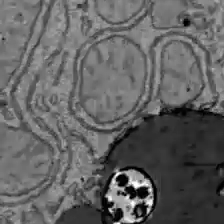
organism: C57BL Mouse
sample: Liver